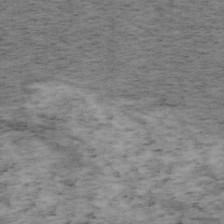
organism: Mouse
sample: OT-I killer T cells with ID8 ovarian cancer cells